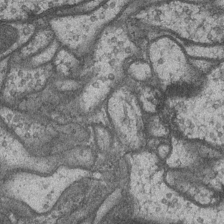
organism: Drosophila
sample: Optic medulla